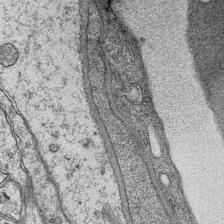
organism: Mouse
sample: CA1 Hippocampus